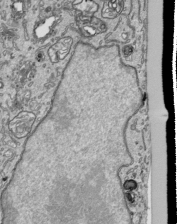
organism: Human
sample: Mitochondria in HCT116 cells